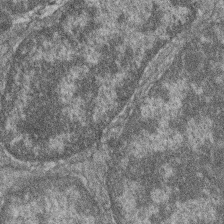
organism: Zebrafish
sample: Cilia; retinal pigment epithelium